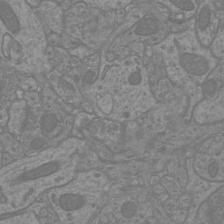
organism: Mouse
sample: Cortical neurons